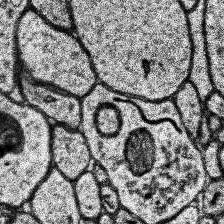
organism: Human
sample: Temporal Lobe